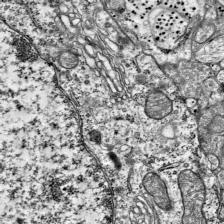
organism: Mouse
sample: Visual Cortex